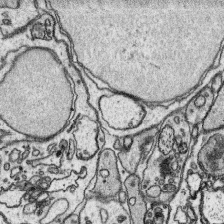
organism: Platynereis dumerilii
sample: Parapodia